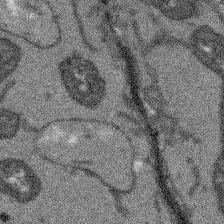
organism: Arabidopsis thaliana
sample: Root tip